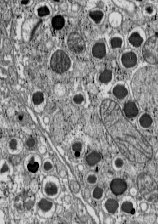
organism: C57BL Mouse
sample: Pancreatic islet